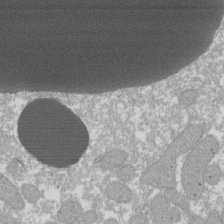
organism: Xenopus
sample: Cilia; centrioles in frog embryo cells